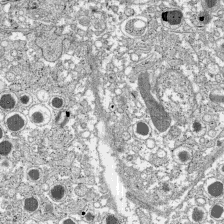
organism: C57BL Mouse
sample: Pancreatic islet